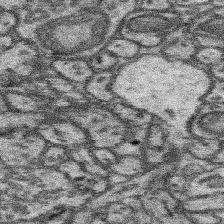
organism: Mouse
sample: Somatosensory cortex neuropil